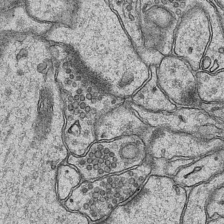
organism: Mouse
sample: CA1 Hippocampus